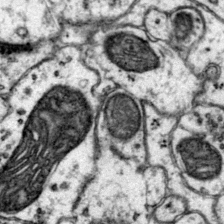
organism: Mouse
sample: Primary visual cortex